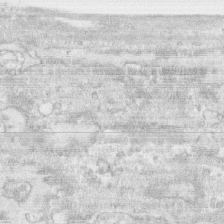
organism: Human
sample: CRL-1474